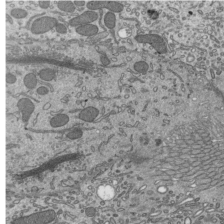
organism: Mouse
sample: Mouse epididymis efferent ductule cilia